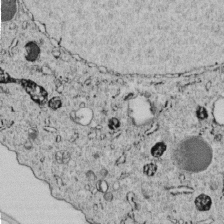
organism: C. elegans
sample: C. elegans embryo early stage